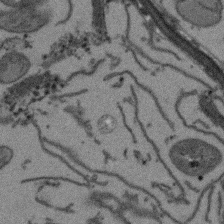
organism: Arabidopsis thaliana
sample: Root tip